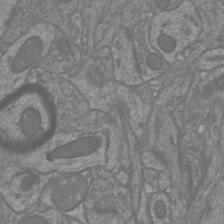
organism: Mouse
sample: Cortical neurons